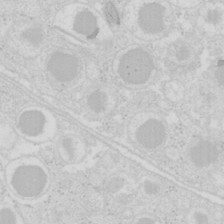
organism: Mouse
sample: Pancreas